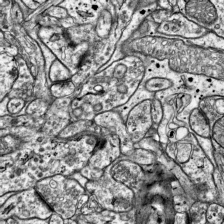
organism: Mouse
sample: Visual Cortex